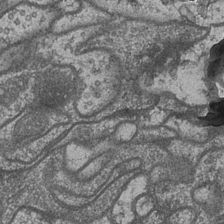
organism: Drosophila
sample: Optic medulla